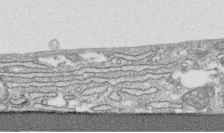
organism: Human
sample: CRL-1474